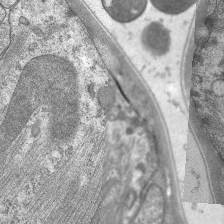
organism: C. elegans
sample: Pharynx